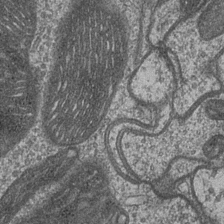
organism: Drosophila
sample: Optic medulla